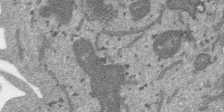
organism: Human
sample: Lung epithelial cells infected with SARS-CoV-2